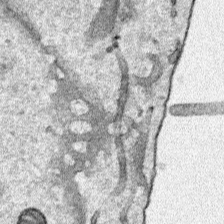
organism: Human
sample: Mitochondria in HCT116 cells